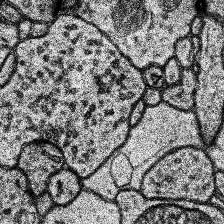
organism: Human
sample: Temporal Lobe